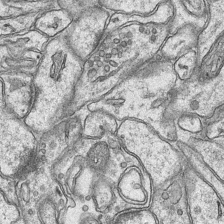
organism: Mouse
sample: CA1 Hippocampus